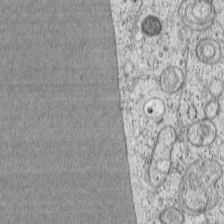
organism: African green monkey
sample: COS-7 cells